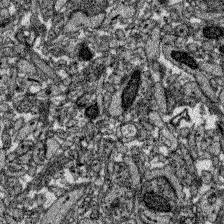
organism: Zebrafish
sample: Larval olfactory bulb